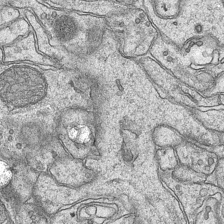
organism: Mouse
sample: CA1 Hippocampus